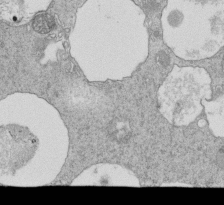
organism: Tetrahymena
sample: Cilia in tetrahymena